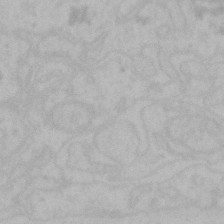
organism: Mouse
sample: Choroid plexus